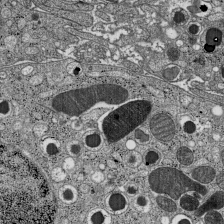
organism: C57BL Mouse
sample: Pancreatic islet